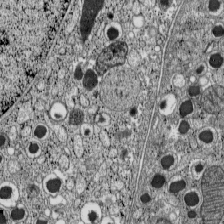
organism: C57BL Mouse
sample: Pancreatic islet